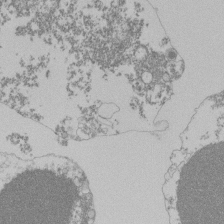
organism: Mouse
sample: Activated Pmel transgenic CD8+ T Cells